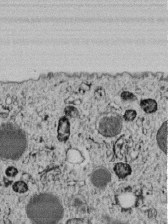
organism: C. elegans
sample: C. elegans embryo early stage